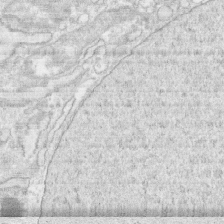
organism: Human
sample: CRL-1474